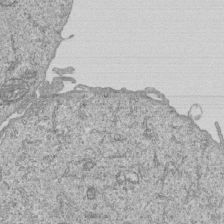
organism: Human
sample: MDA-MB-231 cells